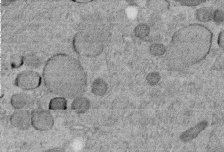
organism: C. elegans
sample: C. elegans embryo early stage